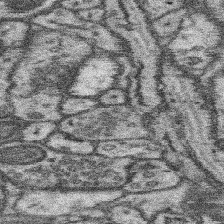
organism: Mouse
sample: Somatosensory cortex neuropil